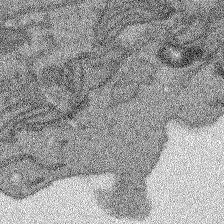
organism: Human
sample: HeLa cells